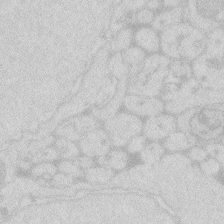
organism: Zebrafish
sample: Macrophage